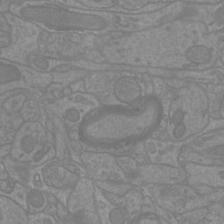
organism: Mouse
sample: Cortical neurons